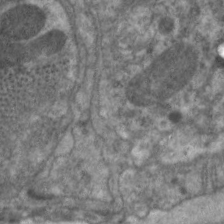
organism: C. elegans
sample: Pharynx